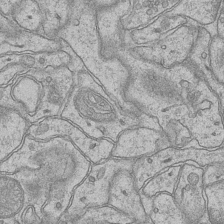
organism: Mouse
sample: CA1 Hippocampus